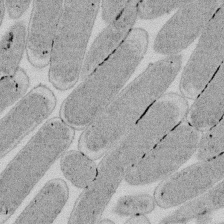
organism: E. coli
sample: Bacterial nucleoid